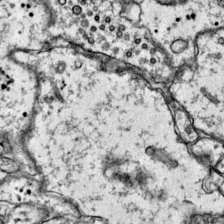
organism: Mouse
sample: Primary visual cortex